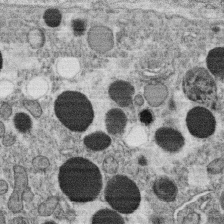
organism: C. elegans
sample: C. elegans oocyte; sperm cells